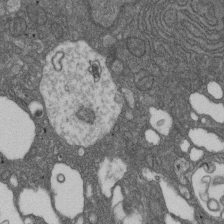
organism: Drosophila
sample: Nephrocyte